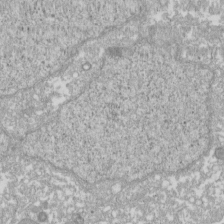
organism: Xenopus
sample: Cilia; centrioles in frog embryo cells